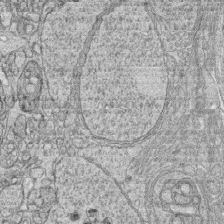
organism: Zebrafish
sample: synaptic ribbons in rod cells and cone cells